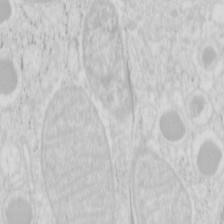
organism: Mouse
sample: Pancreas